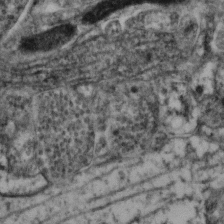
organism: Mouse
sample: Neocortex